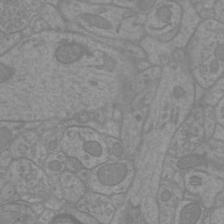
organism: Mouse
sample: Cortical neurons